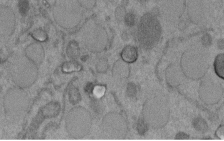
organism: C. elegans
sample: C. elegans embryo early stage